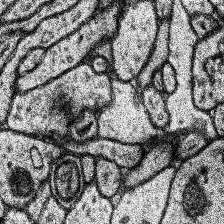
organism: Human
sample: Temporal Lobe